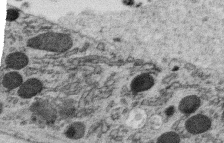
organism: C. elegans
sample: C. elegans oocyte; sperm cells